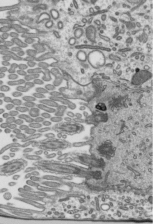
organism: Mouse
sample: Mouse epididymis efferent ductule cilia